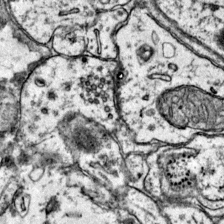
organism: Mouse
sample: Primary visual cortex